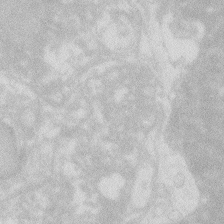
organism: Zebrafish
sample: Macrophage